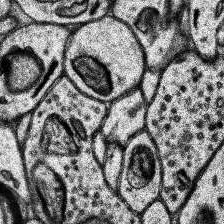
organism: Human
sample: Temporal Lobe